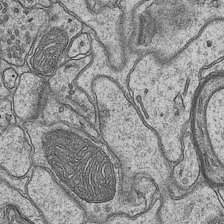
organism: Mouse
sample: CA1 Hippocampus